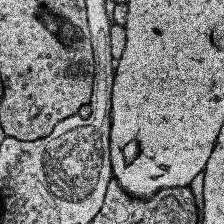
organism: Human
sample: Temporal Lobe